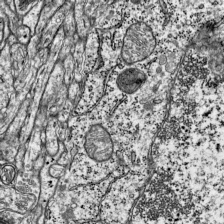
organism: Mouse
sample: Visual Cortex